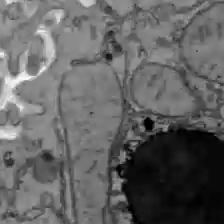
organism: C57BL Mouse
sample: Liver